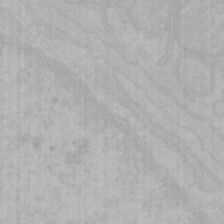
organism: Mouse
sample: Choroid plexus